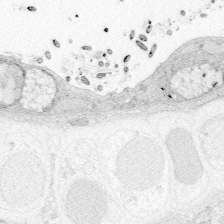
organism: Zebrafish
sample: Whole-Brain